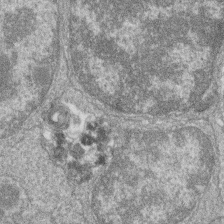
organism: Zebrafish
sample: Cilia; retinal pigment epithelium